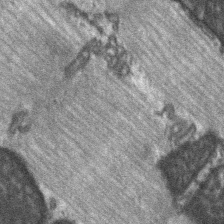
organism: C57BL Mouse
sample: Soleus